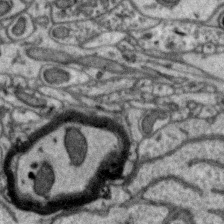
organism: Zebra finch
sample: Brain